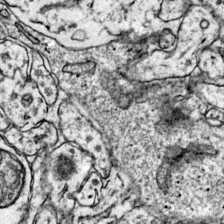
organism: Mouse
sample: Primary visual cortex